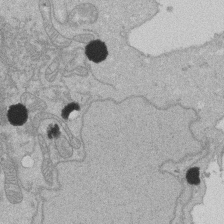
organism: Human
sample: Activated Jurkat CD4+ T cells